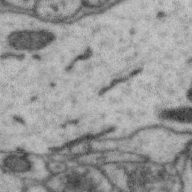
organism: Zebra finch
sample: Brain